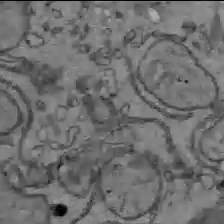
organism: C57BL Mouse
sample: Liver